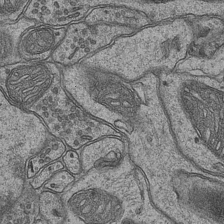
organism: Mouse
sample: CA1 Hippocampus